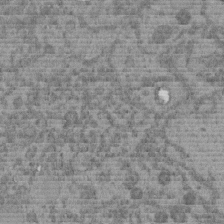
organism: C. elegans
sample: C. elegans embryo early stage